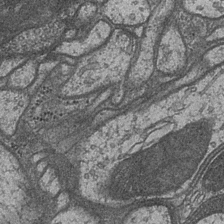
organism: Drosophila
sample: Optic medulla